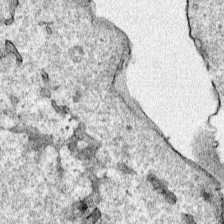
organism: Human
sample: Mitochondria in HCT116 cells